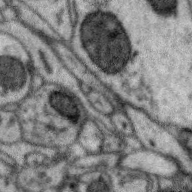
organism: Zebra finch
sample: Brain